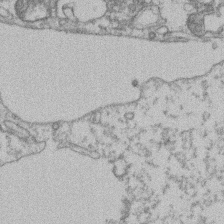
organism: Mouse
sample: T cell stromal cell synapse